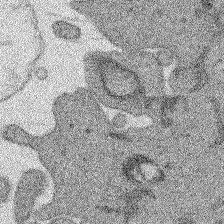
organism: Human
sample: HeLa cells